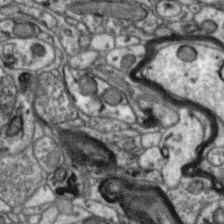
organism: Zebra finch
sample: Brain